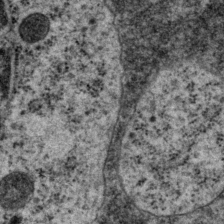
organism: P. pacificus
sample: Pharynx